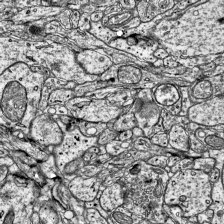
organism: Mouse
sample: Visual Cortex